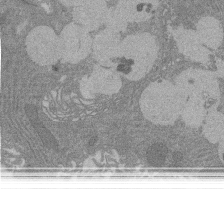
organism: Rat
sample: Salivary granule